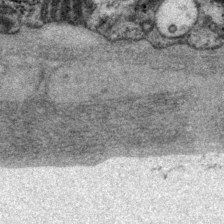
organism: P. pacificus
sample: Pharynx